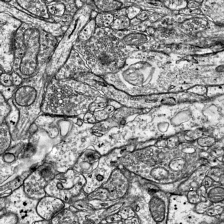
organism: Mouse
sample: Visual Cortex